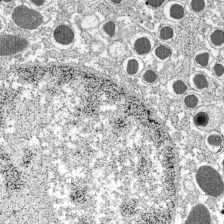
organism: C57BL Mouse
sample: Pancreatic islet